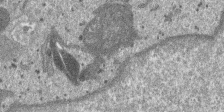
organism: Human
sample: Lung epithelial cells infected with SARS-CoV-2